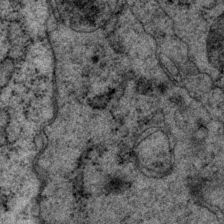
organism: P. pacificus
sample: Pharynx